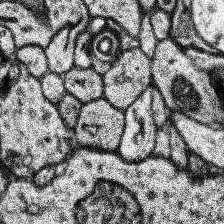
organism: Human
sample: Temporal Lobe